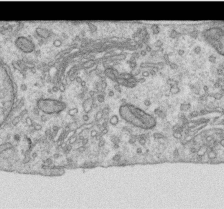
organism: Human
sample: Centriole in RPE cells